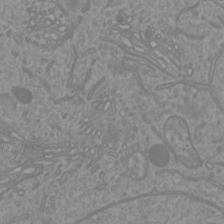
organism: Mouse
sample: Cortical neurons